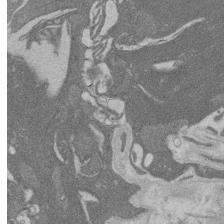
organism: Rat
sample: Salivary granule